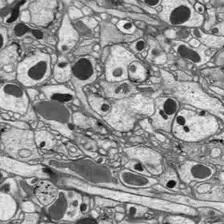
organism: Drosophila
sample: Optic lobe